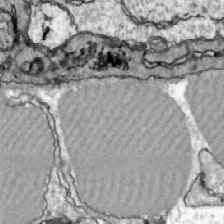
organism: Zebrafish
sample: Actinotrichia fibers